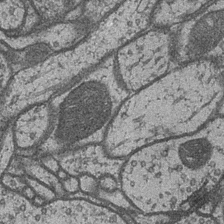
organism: Drosophila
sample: Optic medulla